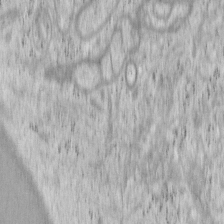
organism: Human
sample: HeLa cells